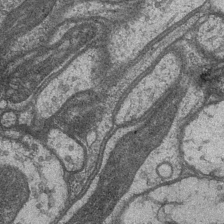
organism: Drosophila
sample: Optic medulla